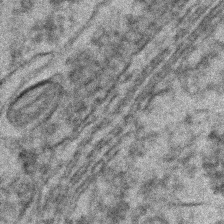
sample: Kidney